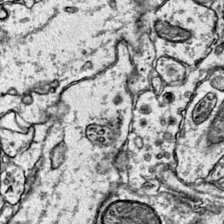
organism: Mouse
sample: Primary visual cortex